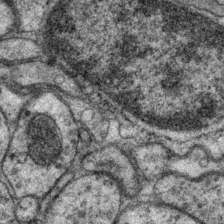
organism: P. pacificus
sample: Pharynx